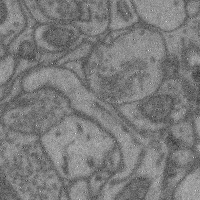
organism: Mouse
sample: Cerebral cortex